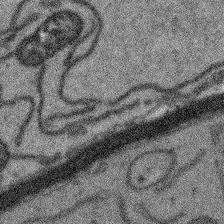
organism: Arabidopsis thaliana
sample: Root tip